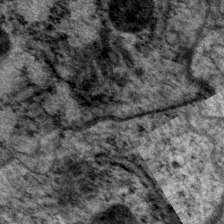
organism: P. pacificus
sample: Pharynx